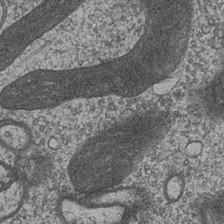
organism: Drosophila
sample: Optic medulla